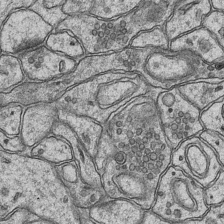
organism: Mouse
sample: CA1 Hippocampus